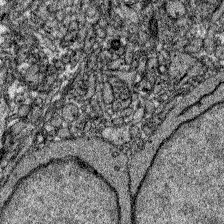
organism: Zebrafish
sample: Larval olfactory bulb